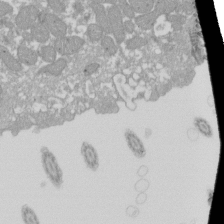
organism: Xenopus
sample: Cilia; centrioles in frog embryo cells